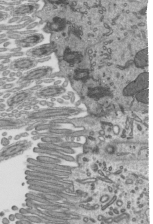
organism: Mouse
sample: Mouse epididymis efferent ductule cilia